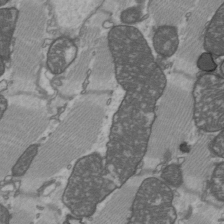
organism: C57BL Mouse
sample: Heart